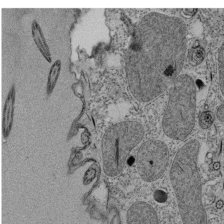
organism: Tetrahymena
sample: Cilia in tetrahymena